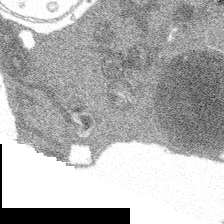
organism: Spongilla lacustris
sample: Multiple